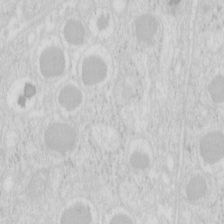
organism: Mouse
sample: Pancreas